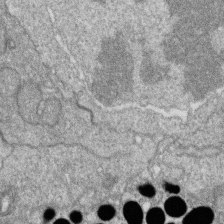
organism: Zebrafish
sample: Cilia; retinal pigment epithelium